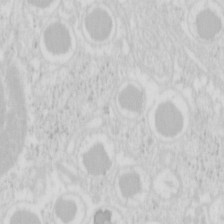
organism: Mouse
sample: Pancreas